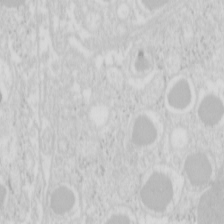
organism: Mouse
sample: Pancreas